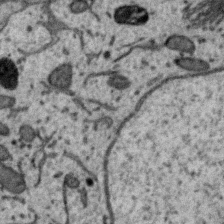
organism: Zebra finch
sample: Brain